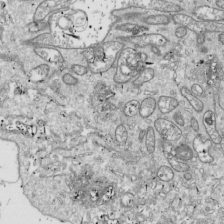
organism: Drosophila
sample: Cell division; meiosis; drosophila spermatocytes